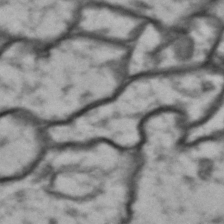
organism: Drosophila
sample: Brain